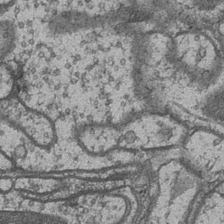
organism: Drosophila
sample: Optic medulla